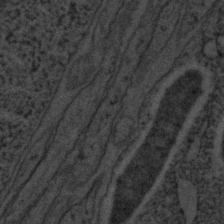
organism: C. elegans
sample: C. elegans embryo